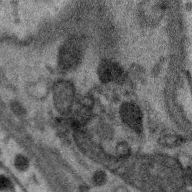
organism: Zebra finch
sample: Brain